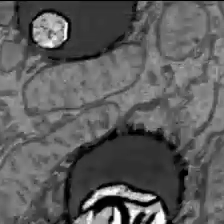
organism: C57BL Mouse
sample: Liver